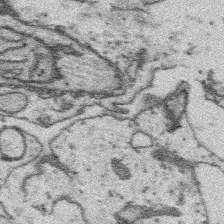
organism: Platynereis dumerilii